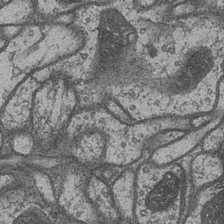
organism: Drosophila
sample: Optic medulla